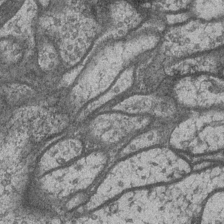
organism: Drosophila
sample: Optic medulla